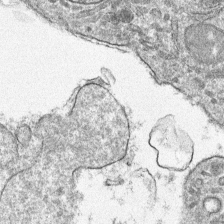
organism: Mouse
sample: Mouse hepatocytes